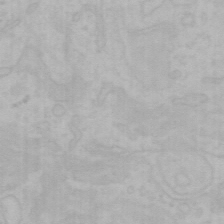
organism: Mouse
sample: Choroid plexus